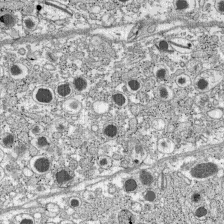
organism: C57BL Mouse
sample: Pancreatic islet